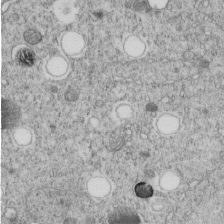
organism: C. elegans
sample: C. elegans embryo early stage